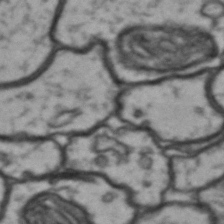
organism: Drosophila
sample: Brain